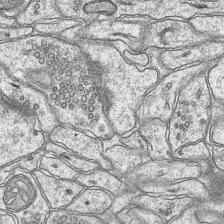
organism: Mouse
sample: CA1 Hippocampus